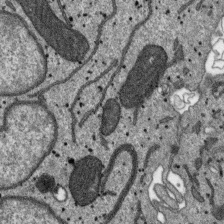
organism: Human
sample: Lung epithelial cells, uninfected (mock) control